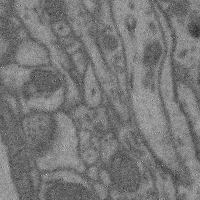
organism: Mouse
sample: Cerebral cortex